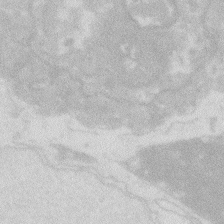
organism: Zebrafish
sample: Macrophage